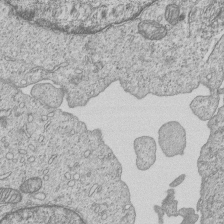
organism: Human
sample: MDA-MB-231 cells